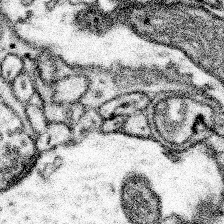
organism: Mouse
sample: Somatosensory cortex neuropil